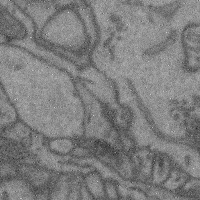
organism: Mouse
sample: Cerebral cortex